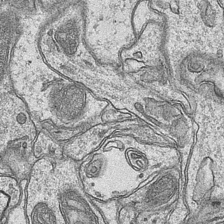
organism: Mouse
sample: CA1 Hippocampus